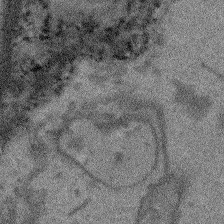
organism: Arabidopsis thaliana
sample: Root tip